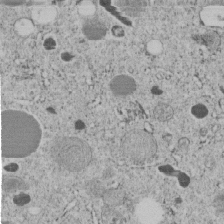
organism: C. elegans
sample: C. elegans embryo early stage